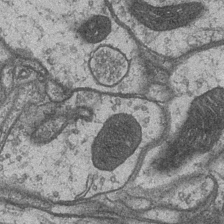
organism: Drosophila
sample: Optic medulla